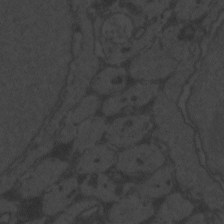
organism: Zebrafish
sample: Macrophage infected with Toxoplasma gondii